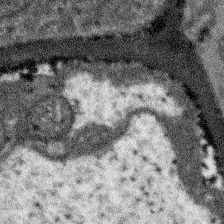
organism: Arabidopsis thaliana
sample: Root tip